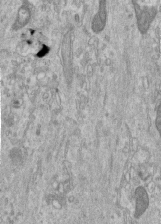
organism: Human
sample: Centriole in RPE cells